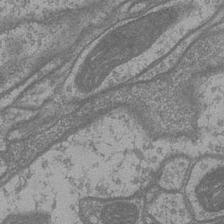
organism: Drosophila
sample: Optic medulla